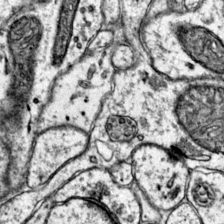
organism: Mouse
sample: Primary visual cortex